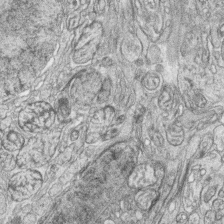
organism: Zebrafish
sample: synaptic ribbons in rod cells and cone cells